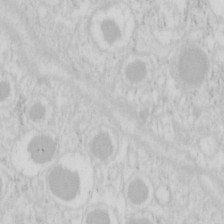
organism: Mouse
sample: Pancreas